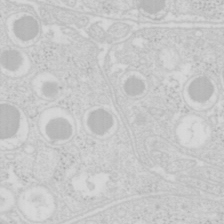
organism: Mouse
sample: Pancreas